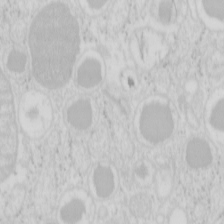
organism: Mouse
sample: Pancreas